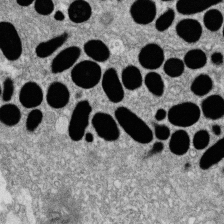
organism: Zebrafish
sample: Cilia; retinal pigment epithelium